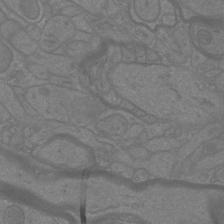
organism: Mouse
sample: Cortical neurons